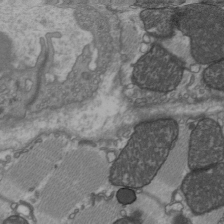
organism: C57BL Mouse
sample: Heart